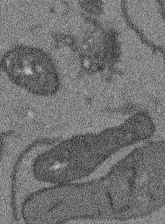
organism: Arabidopsis thaliana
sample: Root tip